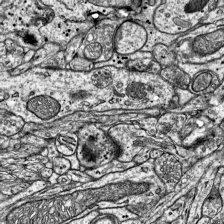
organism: Mouse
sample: Visual Cortex